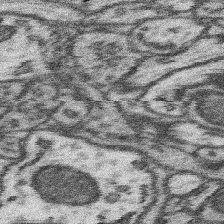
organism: Mouse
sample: Somatosensory cortex neuropil